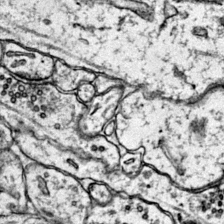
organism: Mouse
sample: Primary visual cortex